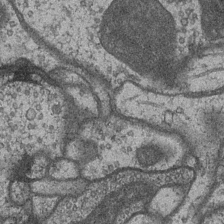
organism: Drosophila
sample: Optic medulla